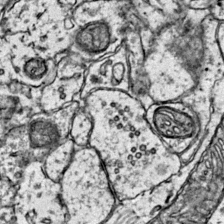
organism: Mouse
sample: Primary visual cortex